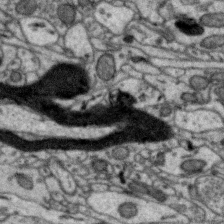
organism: Zebra finch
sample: Brain